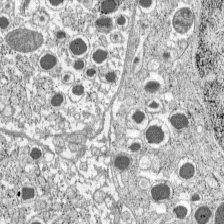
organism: C57BL Mouse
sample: Pancreatic islet